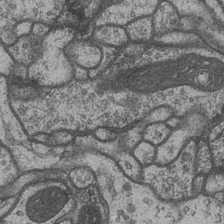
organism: Drosophila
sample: Optic medulla